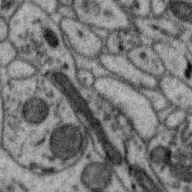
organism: Zebra finch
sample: Brain